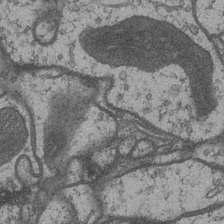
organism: Drosophila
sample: Optic medulla